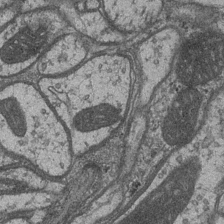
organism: Drosophila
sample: Optic medulla